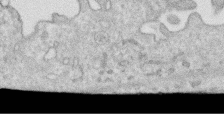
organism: Human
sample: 1205lu cells